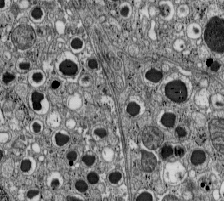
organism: C57BL Mouse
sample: Pancreatic islet